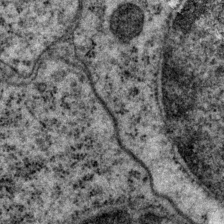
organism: P. pacificus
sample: Pharynx